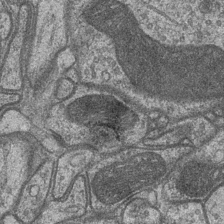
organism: Drosophila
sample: Optic medulla